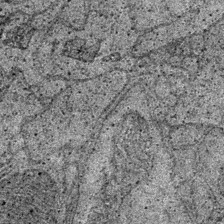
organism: Drosophila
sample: Optic medulla